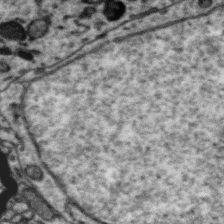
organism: Zebra finch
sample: Brain